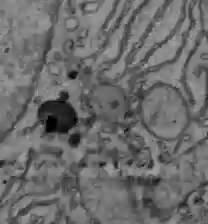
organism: C57BL Mouse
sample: Liver